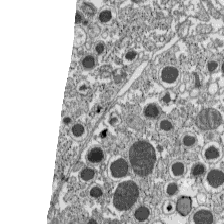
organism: C57BL Mouse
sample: Pancreatic islet